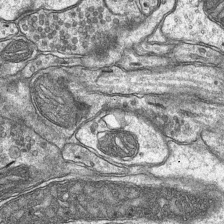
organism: Mouse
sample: CA1 Hippocampus